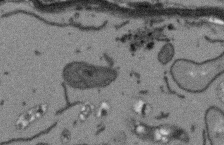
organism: Arabidopsis thaliana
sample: Root tip